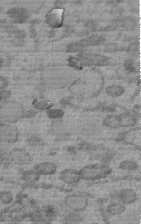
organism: C. elegans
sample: C. elegans embryo early stage